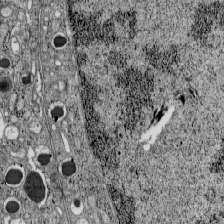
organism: C57BL Mouse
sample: Pancreatic islet